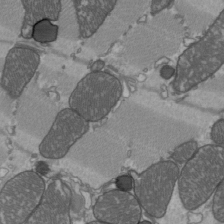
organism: C57BL Mouse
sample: Heart